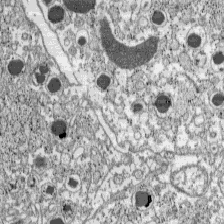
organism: C57BL Mouse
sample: Pancreatic islet